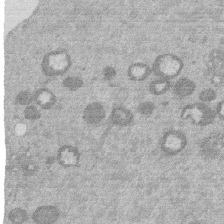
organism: Mouse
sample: Dividing mouse embryo 1 cell stage